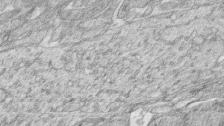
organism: Zebrafish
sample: synaptic ribbons in rod cells and cone cells